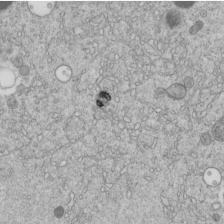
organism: C. elegans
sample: C. elegans embryo early stage